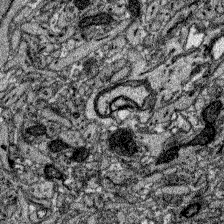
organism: Zebrafish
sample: Larval olfactory bulb